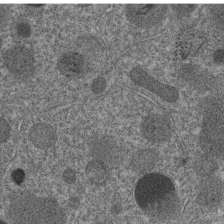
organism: C. elegans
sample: C. elegans embryo early stage